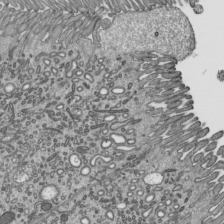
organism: Mouse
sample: Mouse epididymis efferent ductule cilia